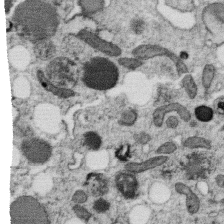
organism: C. elegans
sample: C. elegans oocyte; sperm cells